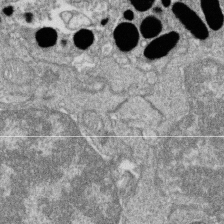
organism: Zebrafish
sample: Cilia; retinal pigment epithelium